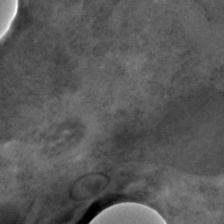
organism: C. elegans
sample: C. elegans embryo